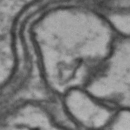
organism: Drosophila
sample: Brain